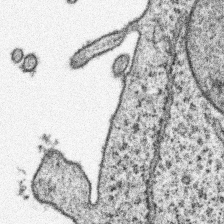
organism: Human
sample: HeLa cells